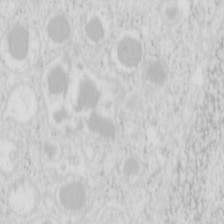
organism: Mouse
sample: Pancreas